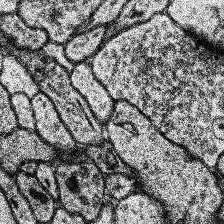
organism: Human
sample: Temporal Lobe